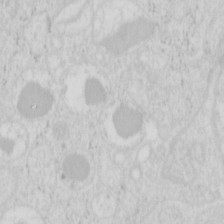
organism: Mouse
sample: Pancreas